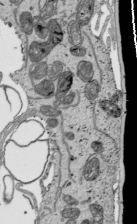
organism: Human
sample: Mitochondria in HCT116 cells